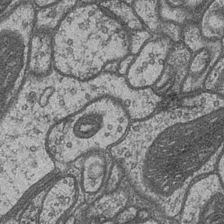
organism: Drosophila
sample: Optic medulla